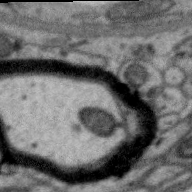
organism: Zebra finch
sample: Brain